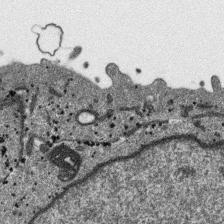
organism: Human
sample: Lung epithelial cells infected with SARS-CoV-2